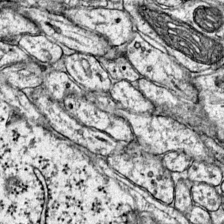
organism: Mouse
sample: Primary visual cortex